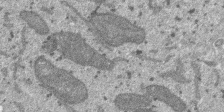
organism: Human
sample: Lung epithelial cells infected with SARS-CoV-2